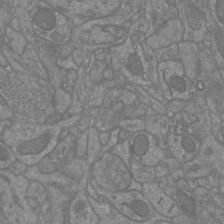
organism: Mouse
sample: Cortical neurons